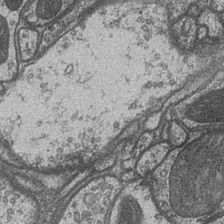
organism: Drosophila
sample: Optic medulla